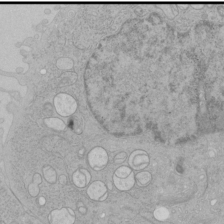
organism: Human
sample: Mitochondria in HCT116 cells